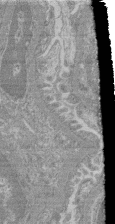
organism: Mouse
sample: Glomerulus